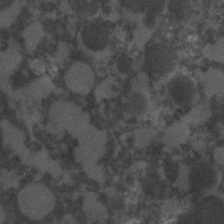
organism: C. elegans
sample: C. elegans embryo